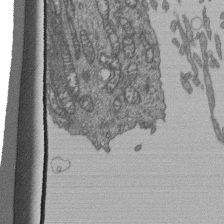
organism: Human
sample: Retinal organoid Rod and Cone cells